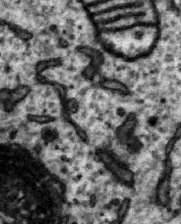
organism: Human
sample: HeLa cells